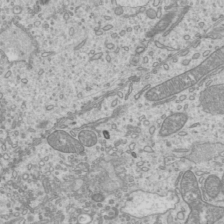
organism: Mouse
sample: Cilia; mouse epididymis